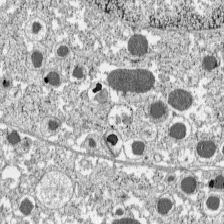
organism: C57BL Mouse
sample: Pancreatic islet